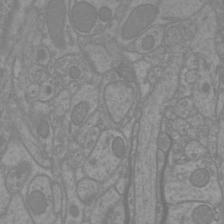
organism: Mouse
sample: Cortical neurons